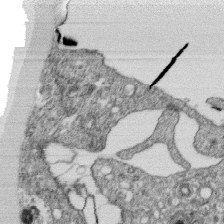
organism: African green monkey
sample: Vero E6 cells infected with SARS-CoV-2